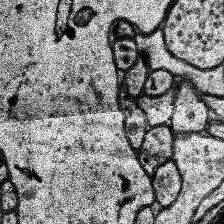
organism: Human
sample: Temporal Lobe